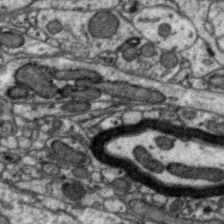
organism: Zebra finch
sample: Brain